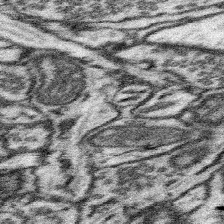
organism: Mouse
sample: Somatosensory cortex neuropil